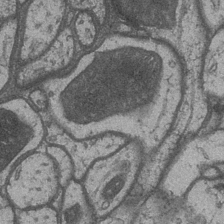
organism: Drosophila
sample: Optic medulla